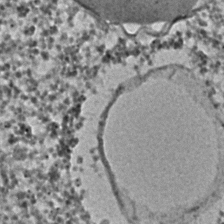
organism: C. elegans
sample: C. elegans embryo